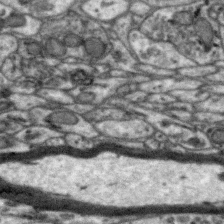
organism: Zebra finch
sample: Brain